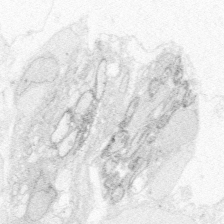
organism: Zebrafish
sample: Whole-Brain